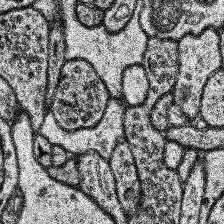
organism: Human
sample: Temporal Lobe